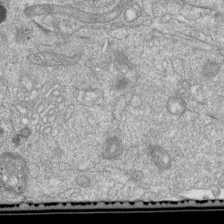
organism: Human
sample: HeLa cell HIV synapse